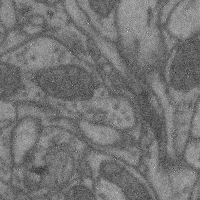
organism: Mouse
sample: Cerebral cortex